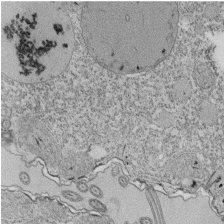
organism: Tetrahymena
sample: Cilia in tetrahymena